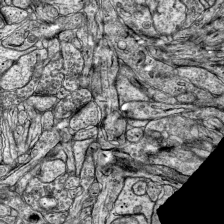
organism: Mouse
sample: Visual Cortex